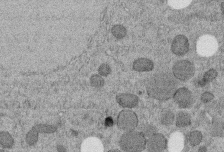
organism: C. elegans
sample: C. elegans embryo early stage